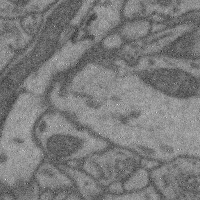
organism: Mouse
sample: Cerebral cortex